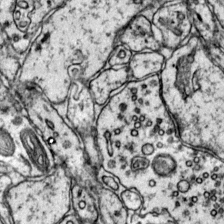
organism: Mouse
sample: Primary visual cortex